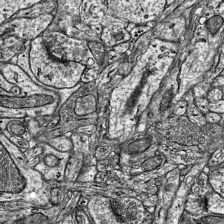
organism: Mouse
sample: Visual Cortex